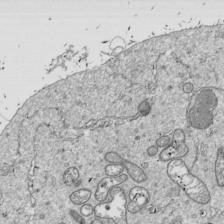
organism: Drosophila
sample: Cell division; meiosis; drosophila spermatocytes